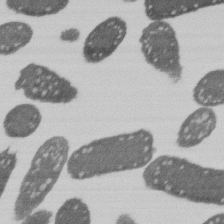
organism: E. coli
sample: Bacterial nucleoid